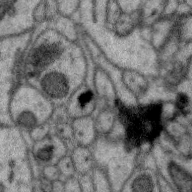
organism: Zebra finch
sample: Brain